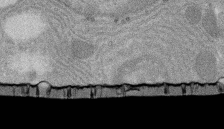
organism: Rat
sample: Salivary granule